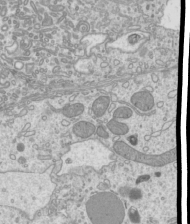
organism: Mouse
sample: Cilia; mouse epididymis